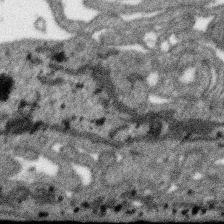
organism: Human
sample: Lung epithelial cells infected with SARS-CoV-2